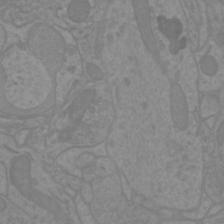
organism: Mouse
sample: Cortical neurons